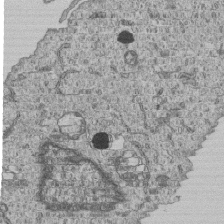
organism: Human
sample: MDA-MB-231 cells